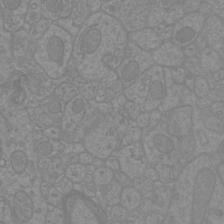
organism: Mouse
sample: Cortical neurons